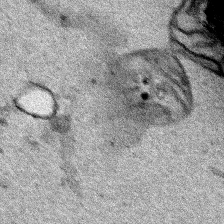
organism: Human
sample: Mitochondria in HCT116 cells